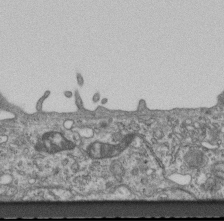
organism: Mouse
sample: Centriole in ependymal cells